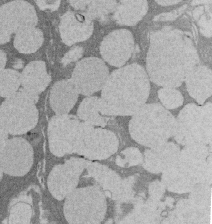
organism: Rat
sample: Salivary granule